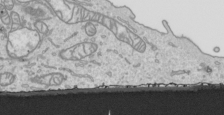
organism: Human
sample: Mitochondria in HCT116 cells